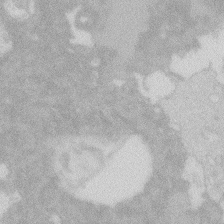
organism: Zebrafish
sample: Macrophage